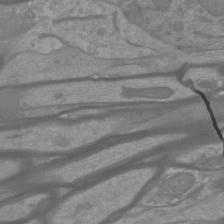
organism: Mouse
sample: Cortical neurons